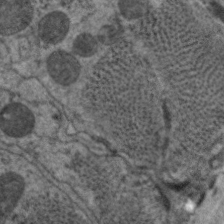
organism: C. elegans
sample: Pharynx